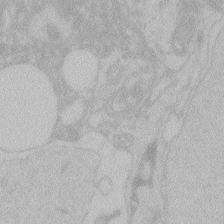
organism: Zebrafish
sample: Macrophage infected with Toxoplasma gondii